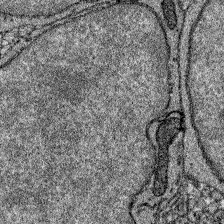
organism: Zebrafish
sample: Larval olfactory bulb